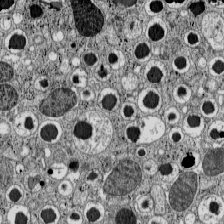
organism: C57BL Mouse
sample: Pancreatic islet